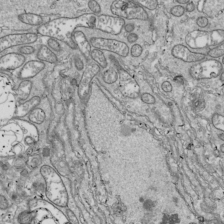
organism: Drosophila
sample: Cell division; meiosis; drosophila spermatocytes